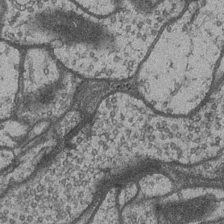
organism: Drosophila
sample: Optic medulla